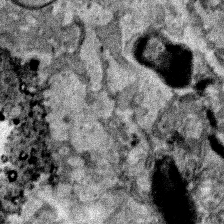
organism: Human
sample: Mitochondria in HCT116 cells